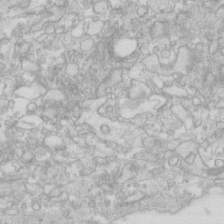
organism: Human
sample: Fibroblast cells